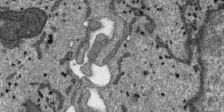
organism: Human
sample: Lung epithelial cells, uninfected (mock) control